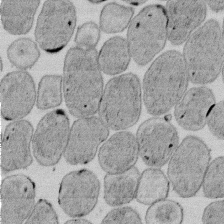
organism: E. coli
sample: Bacterial nucleoid